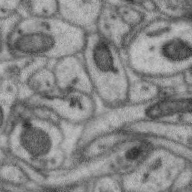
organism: Zebra finch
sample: Brain